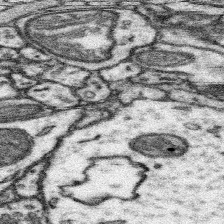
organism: Mouse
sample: Somatosensory cortex neuropil